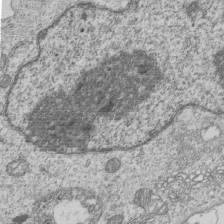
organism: Human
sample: MDA-MB-231 cells